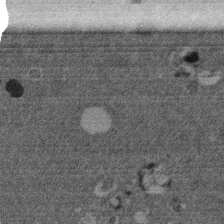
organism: Mouse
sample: Dividing mouse embryo 1 cell stage